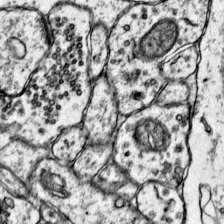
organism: Mouse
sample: Primary visual cortex